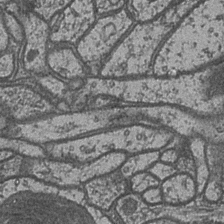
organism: Drosophila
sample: Optic medulla